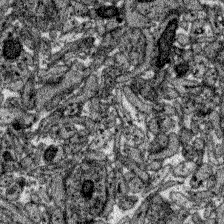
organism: Zebrafish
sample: Larval olfactory bulb